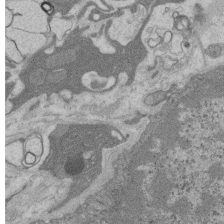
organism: Rat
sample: Salivary granule